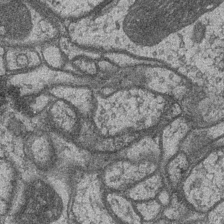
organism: Drosophila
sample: Optic medulla